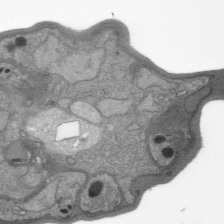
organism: Plasmodium falciparum